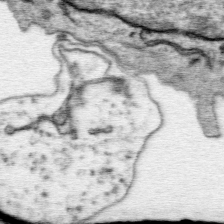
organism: Human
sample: HeLa cells